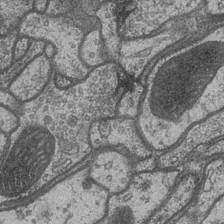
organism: Drosophila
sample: Optic medulla